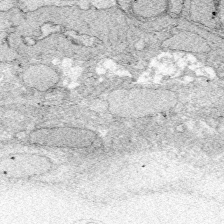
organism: Zebrafish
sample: Whole-Brain